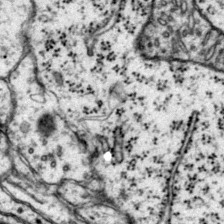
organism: Mouse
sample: Primary visual cortex